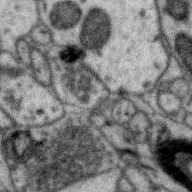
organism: Zebra finch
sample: Brain